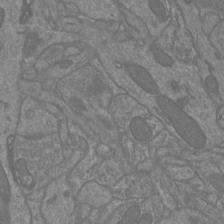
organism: Mouse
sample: Cortical neurons